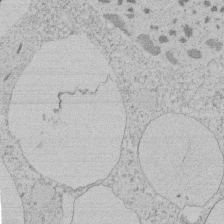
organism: Tetrahymena